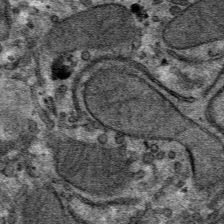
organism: Mouse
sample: Mouse hepatocytes